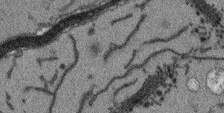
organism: Arabidopsis thaliana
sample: Root tip